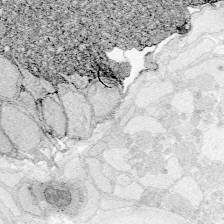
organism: Zebrafish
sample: Whole-Brain